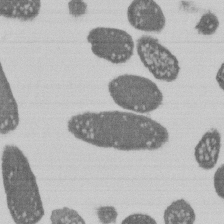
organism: E. coli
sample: Bacterial nucleoid